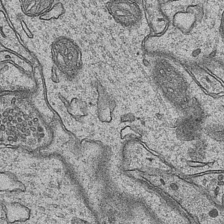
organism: Mouse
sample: CA1 Hippocampus